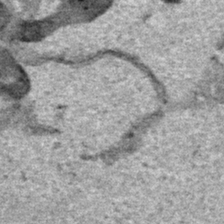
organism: Human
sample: Mitochondria in HCT116 cells